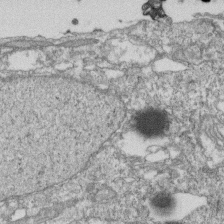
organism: Human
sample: HeLa cell HIV synapse